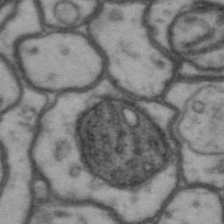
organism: Drosophila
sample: Brain